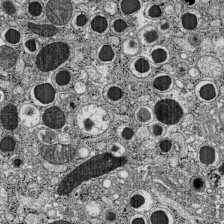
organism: C57BL Mouse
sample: Pancreatic islet